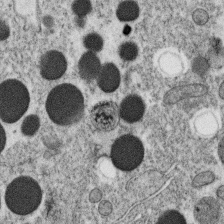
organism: C. elegans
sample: C. elegans oocyte; sperm cells